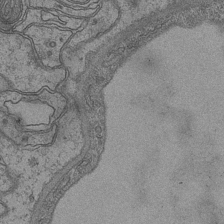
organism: Mouse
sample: CA1 Hippocampus